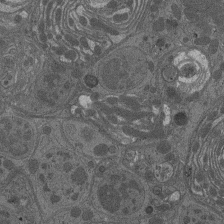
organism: Drosophila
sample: Antenna